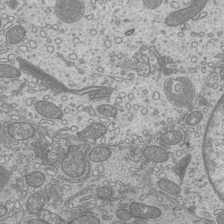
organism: Mouse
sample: Cilia; mouse epididymis